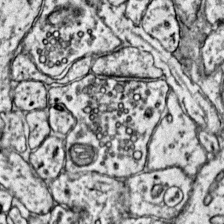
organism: Mouse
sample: Primary visual cortex